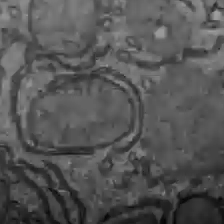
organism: C57BL Mouse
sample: Liver